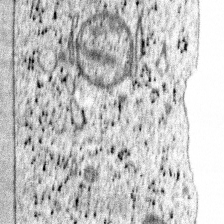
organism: Human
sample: HeLa cells